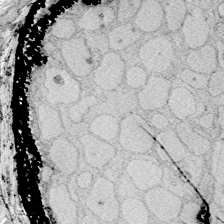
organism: Zebrafish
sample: Whole-Brain